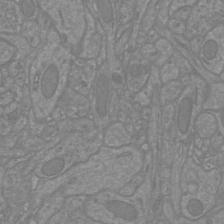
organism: Mouse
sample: Cortical neurons